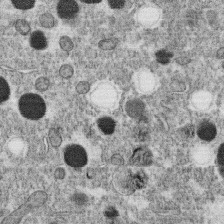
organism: C. elegans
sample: C. elegans oocyte; sperm cells